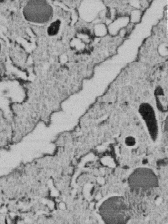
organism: C. elegans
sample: C. elegans embryo early stage